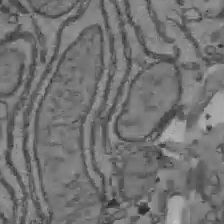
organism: C57BL Mouse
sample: Liver